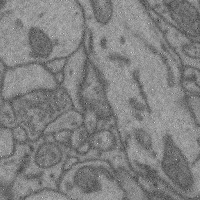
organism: Mouse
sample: Cerebral cortex